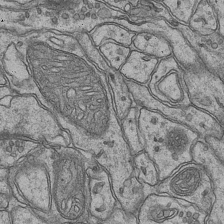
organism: Mouse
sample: CA1 Hippocampus